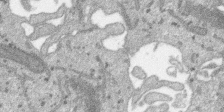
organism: Human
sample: Lung epithelial cells infected with SARS-CoV-2